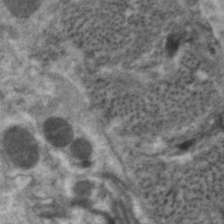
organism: C. elegans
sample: Pharynx